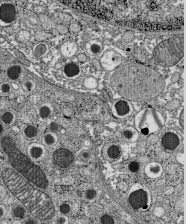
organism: C57BL Mouse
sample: Pancreatic islet